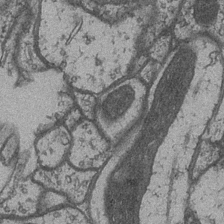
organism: Drosophila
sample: Optic medulla